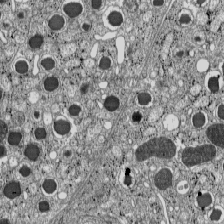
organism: C57BL Mouse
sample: Pancreatic islet